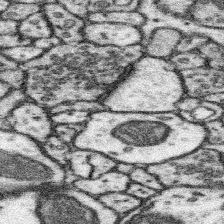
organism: Mouse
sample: Somatosensory cortex neuropil